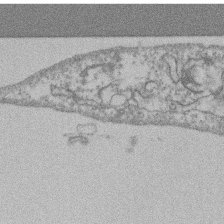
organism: Mouse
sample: T cell stromal cell synapse